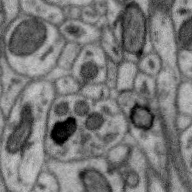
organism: Zebra finch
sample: Brain